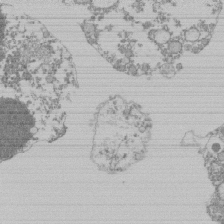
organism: Mouse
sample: Activated Pmel transgenic CD8+ T Cells